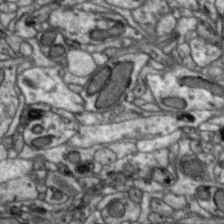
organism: Zebra finch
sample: Brain